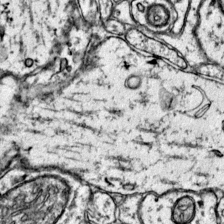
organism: Mouse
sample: Primary visual cortex